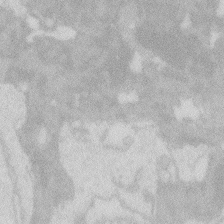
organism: Zebrafish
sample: Macrophage